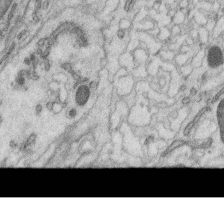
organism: C. elegans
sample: C. elegans oocyte; sperm cells